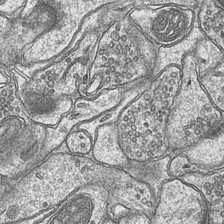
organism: Mouse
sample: CA1 Hippocampus